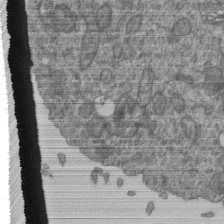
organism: Human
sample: Retinal organoid Rod and Cone cells